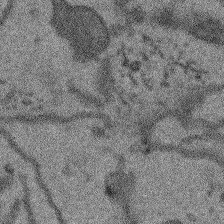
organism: Arabidopsis thaliana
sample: Root tip